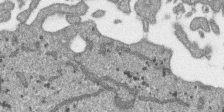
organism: Human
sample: Lung epithelial cells infected with SARS-CoV-2